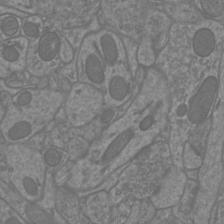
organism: Mouse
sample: Cortical neurons